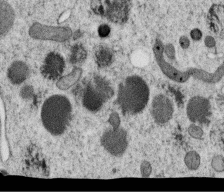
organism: C. elegans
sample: C. elegans oocyte; sperm cells